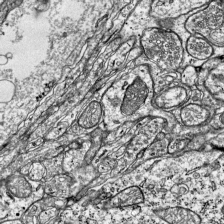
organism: Mouse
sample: Visual Cortex